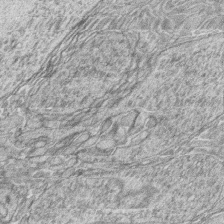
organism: Zebrafish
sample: synaptic ribbons in rod cells and cone cells